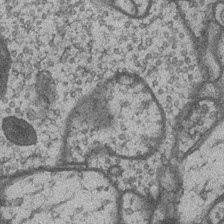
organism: Drosophila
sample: Optic medulla